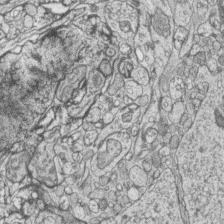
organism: Zebrafish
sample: synaptic ribbons in rod cells and cone cells